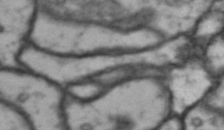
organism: Drosophila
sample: Brain